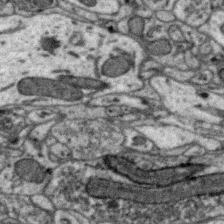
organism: Zebra finch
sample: Brain